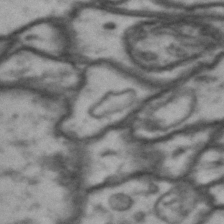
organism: Drosophila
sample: Brain